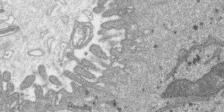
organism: Human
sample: Lung epithelial cells infected with SARS-CoV-2